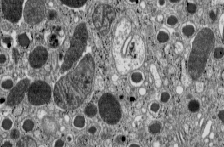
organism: C57BL Mouse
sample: Pancreatic islet